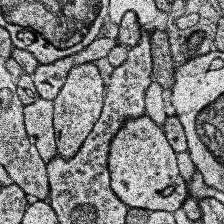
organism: Human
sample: Temporal Lobe